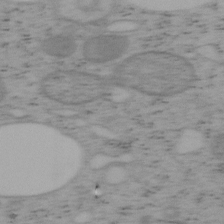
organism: Mouse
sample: OT-I killer T cells with ID8 ovarian cancer cells